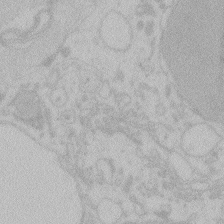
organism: Zebrafish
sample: Macrophage infected with Toxoplasma gondii